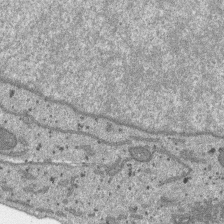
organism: Human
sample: Lung epithelial cells infected with SARS-CoV-2